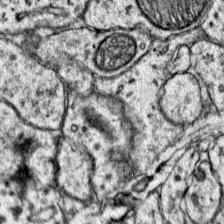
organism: Mouse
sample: Primary visual cortex